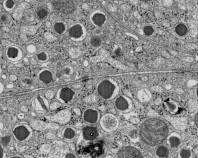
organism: C57BL Mouse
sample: Pancreatic islet